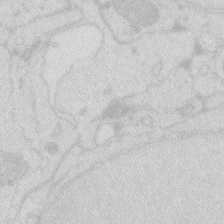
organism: Zebrafish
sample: Macrophage